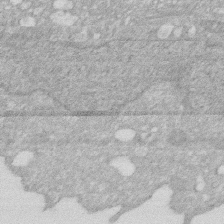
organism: Human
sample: HIV infected U937 cells